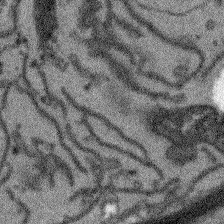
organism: Arabidopsis thaliana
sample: Root tip